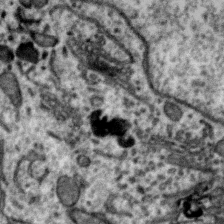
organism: Zebra finch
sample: Brain